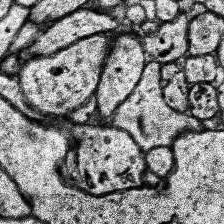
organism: Human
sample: Temporal Lobe